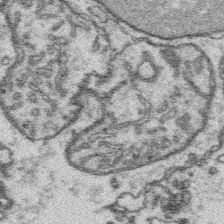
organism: Platynereis dumerilii